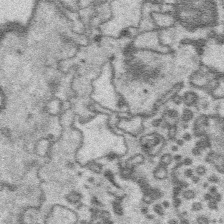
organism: Platynereis dumerilii